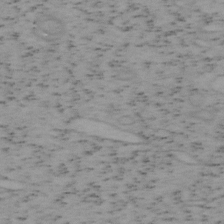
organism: Mouse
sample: OT-I killer T cells with ID8 ovarian cancer cells